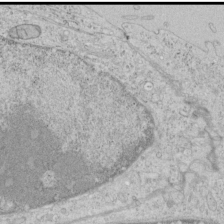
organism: Human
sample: Mitochondria in HCT116 cells